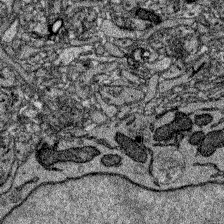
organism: Zebrafish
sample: Larval olfactory bulb